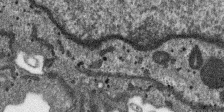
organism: Human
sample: Lung epithelial cells infected with SARS-CoV-2